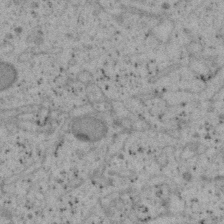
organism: Human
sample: HeLa cells